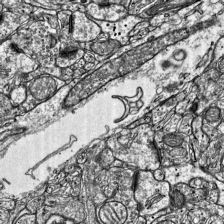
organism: Mouse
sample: Visual Cortex